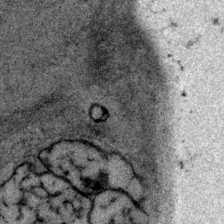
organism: P. pacificus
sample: Pharynx